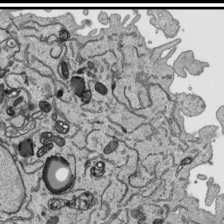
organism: Human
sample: Mitochondria in HCT116 cells